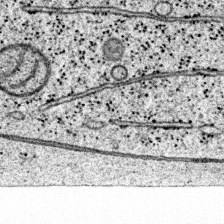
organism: Human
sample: HeLa cells